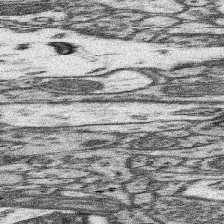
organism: Mouse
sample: Somatosensory cortex neuropil